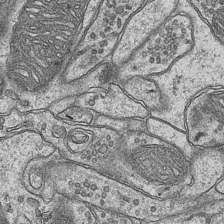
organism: Mouse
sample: CA1 Hippocampus